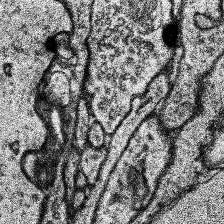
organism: Human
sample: Temporal Lobe